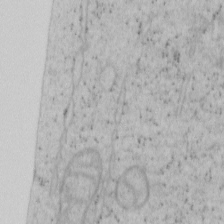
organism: Human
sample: HeLa cells